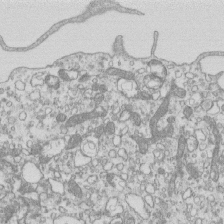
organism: Mouse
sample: Macrophages